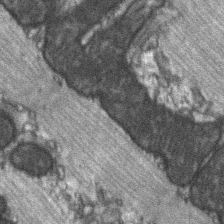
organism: C57BL Mouse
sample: Soleus